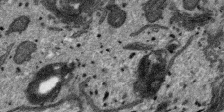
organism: Human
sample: Lung epithelial cells, uninfected (mock) control